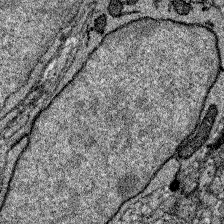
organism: Zebrafish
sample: Larval olfactory bulb